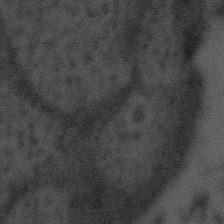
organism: Tuwongella immobilis